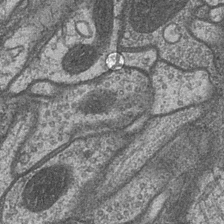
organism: Drosophila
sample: Optic medulla